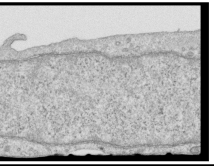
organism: Human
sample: Centriole in RPE cells